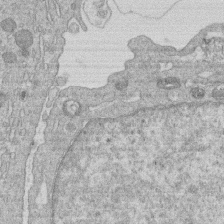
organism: Human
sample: Macrophage cells